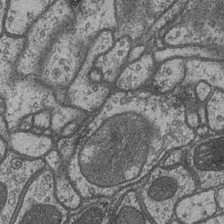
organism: Drosophila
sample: Optic medulla